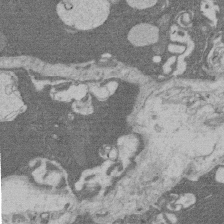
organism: Rat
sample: Salivary granule